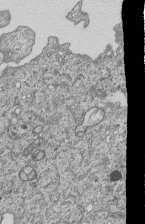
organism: Human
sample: MDA-MB-231 cells